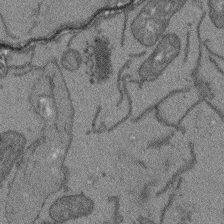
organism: Arabidopsis thaliana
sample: Root tip